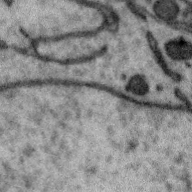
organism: Zebra finch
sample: Brain